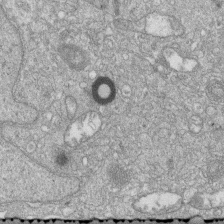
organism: Human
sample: HeLa cell HIV synapse